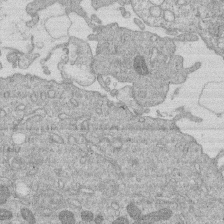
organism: Human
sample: Macrophage cells